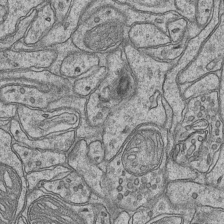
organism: Mouse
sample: CA1 Hippocampus